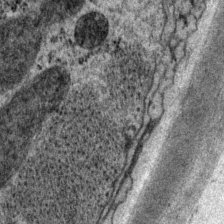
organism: P. pacificus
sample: Pharynx